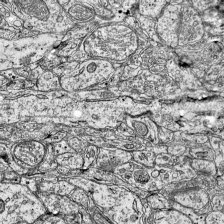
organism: Mouse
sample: Visual Cortex